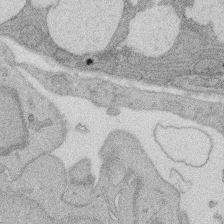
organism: Rat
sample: Salivary granule